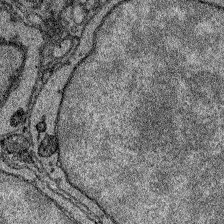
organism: Zebrafish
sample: Larval olfactory bulb